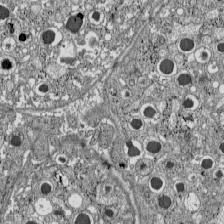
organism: C57BL Mouse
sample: Pancreatic islet